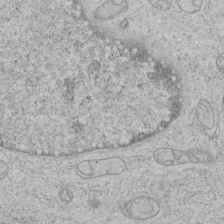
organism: Human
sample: Mitochondria in HCT116 cells